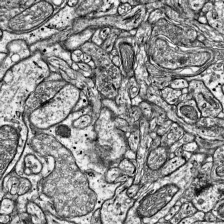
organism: Mouse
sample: Visual Cortex